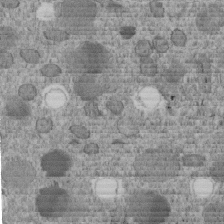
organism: C. elegans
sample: C. elegans embryo early stage